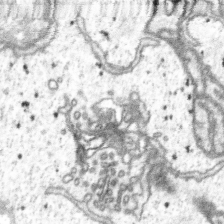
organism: Human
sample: HeLa cells